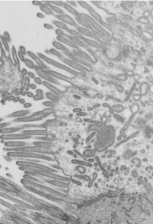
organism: Mouse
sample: Mouse epididymis efferent ductule cilia